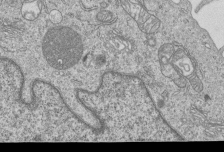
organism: Human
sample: MDA-MB-231 cells